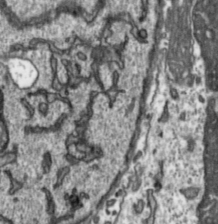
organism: Toxoplasma gondii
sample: Parasites in a vacuole inside a host cell